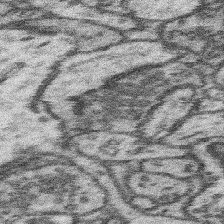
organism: Mouse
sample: Somatosensory cortex neuropil